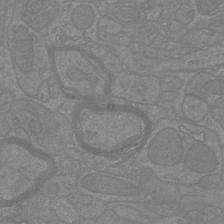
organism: Mouse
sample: Cortical neurons